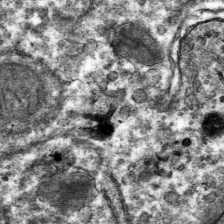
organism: Mouse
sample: Mouse hepatocytes